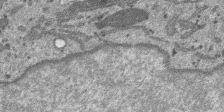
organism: Human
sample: Lung epithelial cells infected with SARS-CoV-2